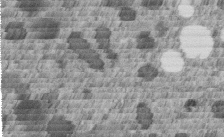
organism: C. elegans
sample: C. elegans embryo early stage